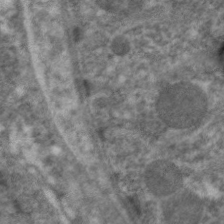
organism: C. elegans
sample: Pharynx